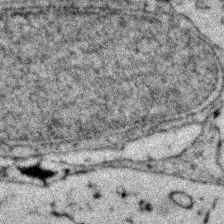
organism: Zebrafish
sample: Zebrafish embryo